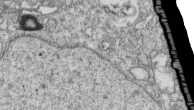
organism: Human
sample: HeLa cell HIV synapse